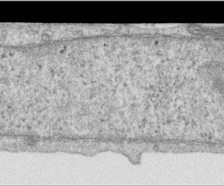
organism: Human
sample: Centriole in RPE cells